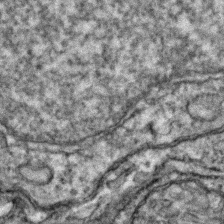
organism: Zebrafish